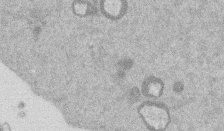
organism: Mouse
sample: Dividing mouse embryo 1 cell stage